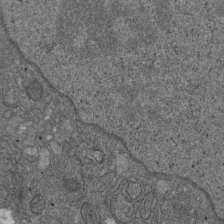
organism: Drosophila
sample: Nephrocyte